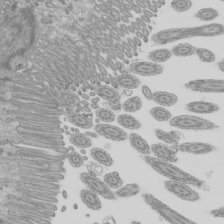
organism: Mouse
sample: Cilia; mouse epididymis